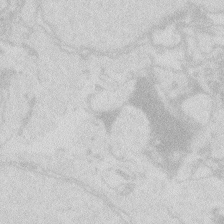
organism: Zebrafish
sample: Macrophage